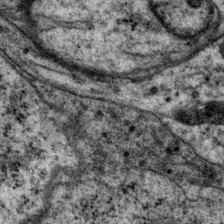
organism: P. pacificus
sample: Pharynx